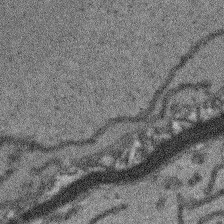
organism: Arabidopsis thaliana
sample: Root tip